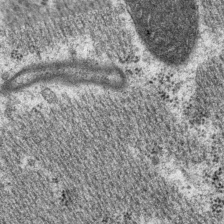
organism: P. pacificus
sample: Pharynx